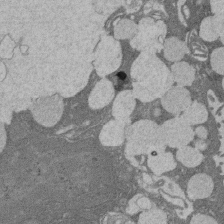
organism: Rat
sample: Salivary granule